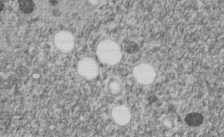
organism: C. elegans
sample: C. elegans embryo early stage